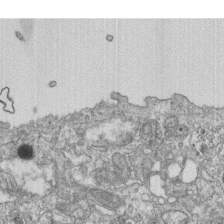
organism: Human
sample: HeLa cell HIV synapse